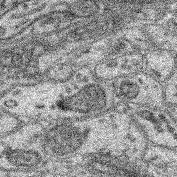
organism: Mouse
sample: Retina